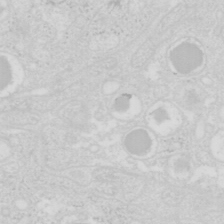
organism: Mouse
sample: Pancreas